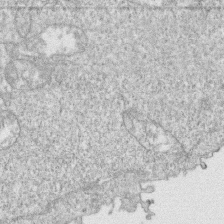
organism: Human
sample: HeLa cell HIV synapse